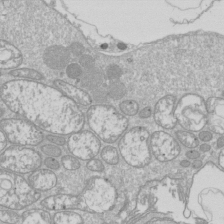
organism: Drosophila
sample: Cell division; meiosis; drosophila spermatocytes